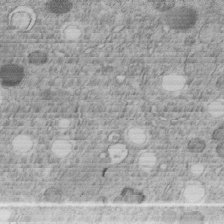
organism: C. elegans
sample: C. elegans embryo early stage